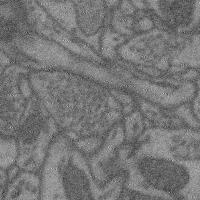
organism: Mouse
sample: Cerebral cortex